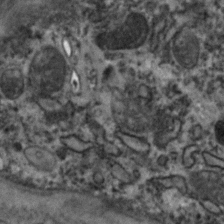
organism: Zebrafish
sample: Zebrafish embryo